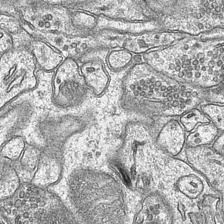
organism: Mouse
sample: CA1 Hippocampus